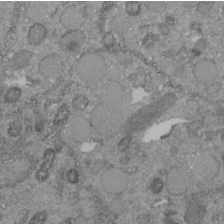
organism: C. elegans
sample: C. elegans embryo early stage